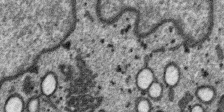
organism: Human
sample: Lung epithelial cells infected with SARS-CoV-2